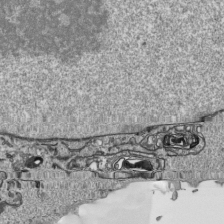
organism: Human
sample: Mitochondria in HCT116 cells